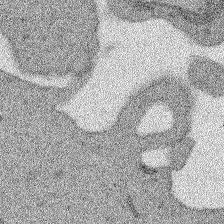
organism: Human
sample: HeLa cells